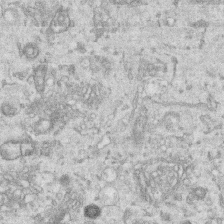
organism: Human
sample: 1205lu cells